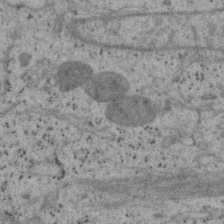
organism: Human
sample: HeLa cells